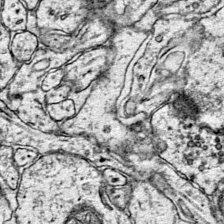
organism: Mouse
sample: Primary visual cortex